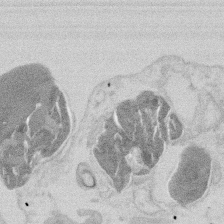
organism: Mouse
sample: T cell stromal cell synapse